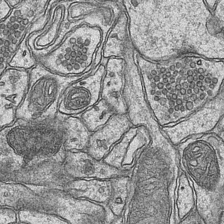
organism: Mouse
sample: CA1 Hippocampus